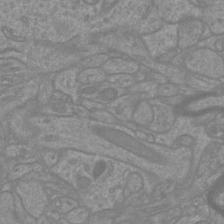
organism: Mouse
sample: Cortical neurons